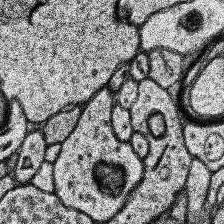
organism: Human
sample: Temporal Lobe